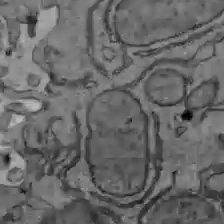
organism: C57BL Mouse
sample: Liver